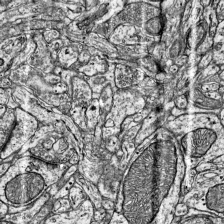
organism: Mouse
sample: Visual Cortex